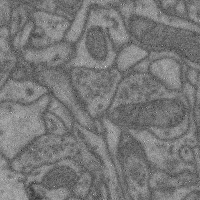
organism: Mouse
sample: Cerebral cortex